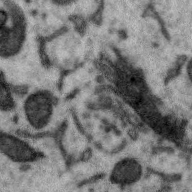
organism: Zebra finch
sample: Brain